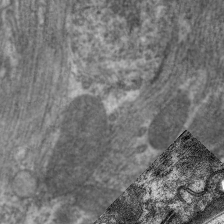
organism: C. elegans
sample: Pharynx